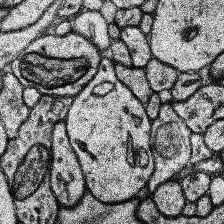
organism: Human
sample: Temporal Lobe